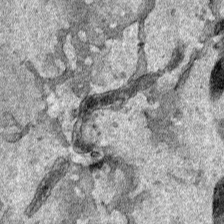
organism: Human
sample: Mitochondria in HCT116 cells